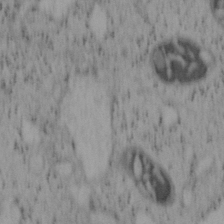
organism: Mouse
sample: OT-I killer T cells with ID8 ovarian cancer cells